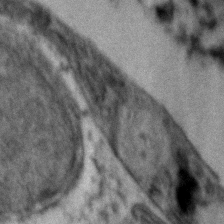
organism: Zebrafish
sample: Zebrafish embryo